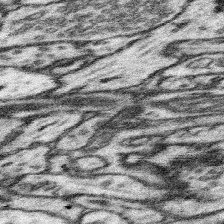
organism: Mouse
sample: Somatosensory cortex neuropil